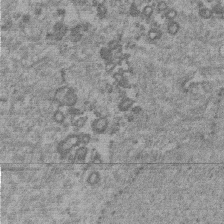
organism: Mouse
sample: Dividing mouse embryo 1 cell stage